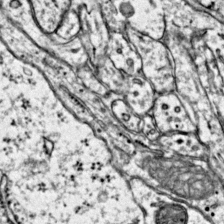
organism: Mouse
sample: Primary visual cortex